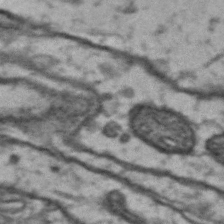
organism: Drosophila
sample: Brain